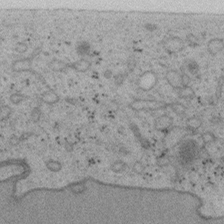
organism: Human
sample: HeLa cells